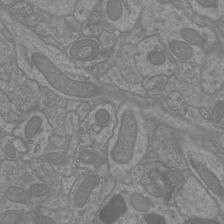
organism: Mouse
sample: Cortical neurons